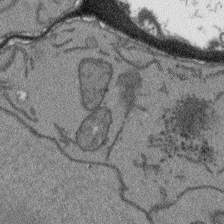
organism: Arabidopsis thaliana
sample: Root tip